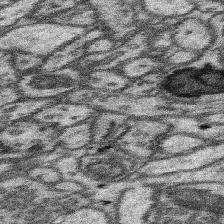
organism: Mouse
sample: Somatosensory cortex neuropil